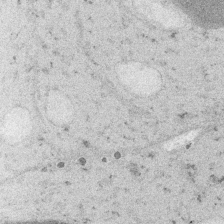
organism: Embia sp.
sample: Silk gland